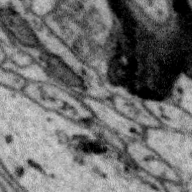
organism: Zebra finch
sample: Brain